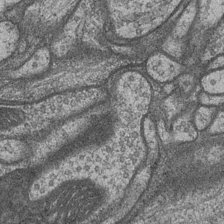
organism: Drosophila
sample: Optic medulla